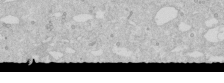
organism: Human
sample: Caco-2 cells